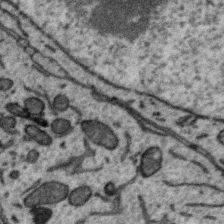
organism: Zebra finch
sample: Brain